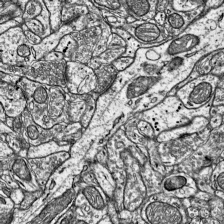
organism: Mouse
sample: Visual Cortex